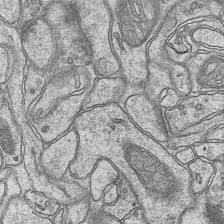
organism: Mouse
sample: CA1 Hippocampus